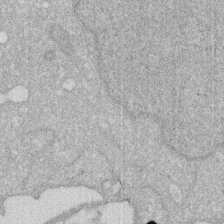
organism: Human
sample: HIV infected U937 cells